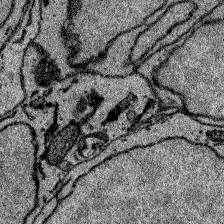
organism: Zebrafish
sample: Larval olfactory bulb